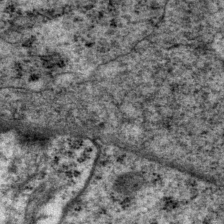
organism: P. pacificus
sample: Pharynx